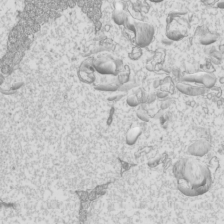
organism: Mouse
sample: Cilia; mouse epididymis